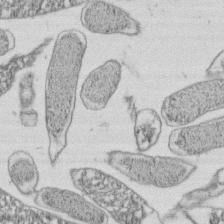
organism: E. coli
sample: Bacterial nucleoid